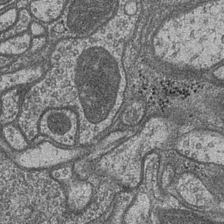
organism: Drosophila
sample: Optic medulla